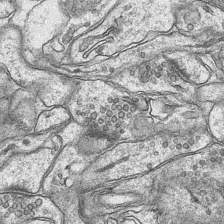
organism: Mouse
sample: CA1 Hippocampus